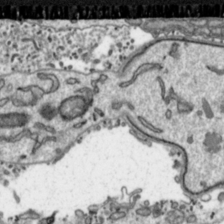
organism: Toxoplasma gondii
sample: Parasites in a vacuole inside a host cell